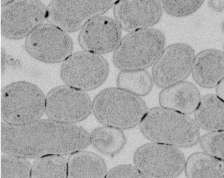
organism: E. coli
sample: Bacterial nucleoid